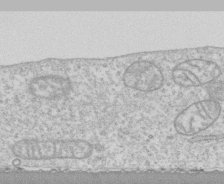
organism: Human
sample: CRL-1474